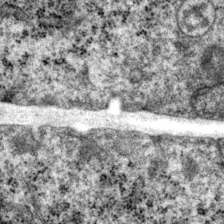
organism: P. pacificus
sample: Pharynx